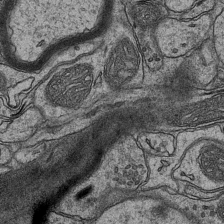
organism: Mouse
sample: CA1 Hippocampus